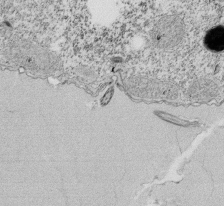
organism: Tetrahymena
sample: Cilia in tetrahymena